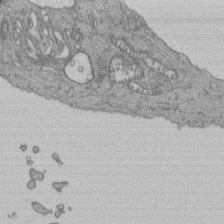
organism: Human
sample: Retinal organoid Rod and Cone cells